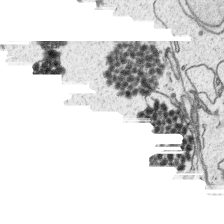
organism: Platynereis dumerilii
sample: Parapodia